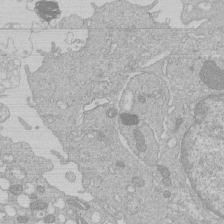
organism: Human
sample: Macrophage cells